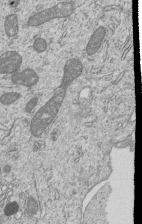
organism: Human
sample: MDA-MB-231 cells